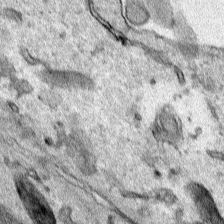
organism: Human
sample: Mitochondria in HCT116 cells